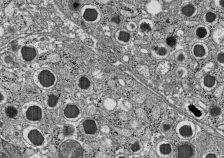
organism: C57BL Mouse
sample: Pancreatic islet